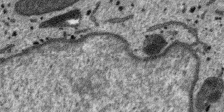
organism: Human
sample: Lung epithelial cells, uninfected (mock) control